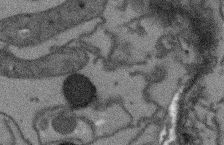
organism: Arabidopsis thaliana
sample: Root tip